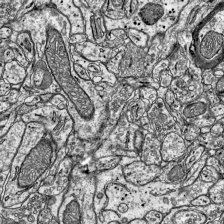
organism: Mouse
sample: Visual Cortex